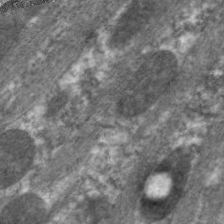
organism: C. elegans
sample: Pharynx